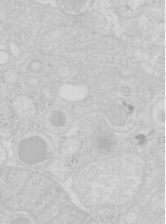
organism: Mouse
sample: Pancreas